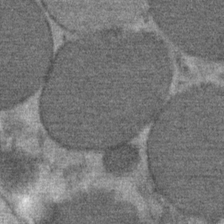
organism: Mouse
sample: Mouse Salivary gland